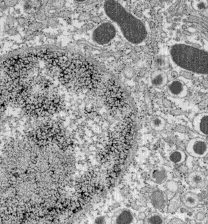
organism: C57BL Mouse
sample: Pancreatic islet